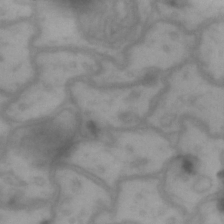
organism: Drosophila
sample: Brain